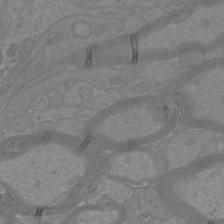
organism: Mouse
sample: Cortical neurons